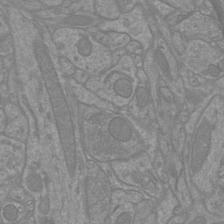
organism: Mouse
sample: Cortical neurons